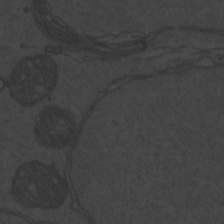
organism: Zebrafish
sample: Macrophage infected with Toxoplasma gondii